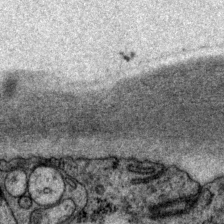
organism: P. pacificus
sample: Pharynx